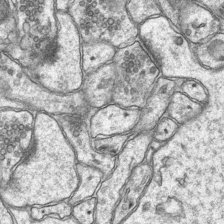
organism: Mouse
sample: CA1 Hippocampus